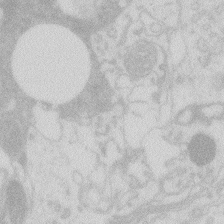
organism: Zebrafish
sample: Macrophage